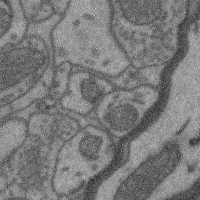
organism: Mouse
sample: Cerebral cortex